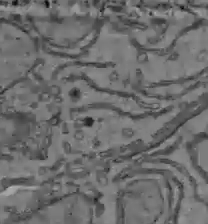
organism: C57BL Mouse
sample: Liver